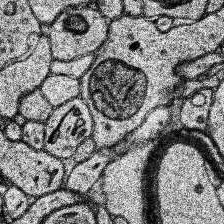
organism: Human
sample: Temporal Lobe